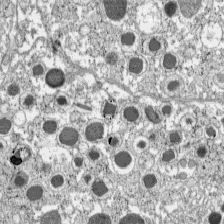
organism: C57BL Mouse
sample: Pancreatic islet